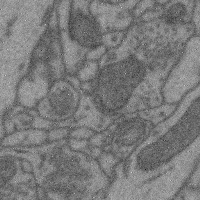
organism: Mouse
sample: Cerebral cortex